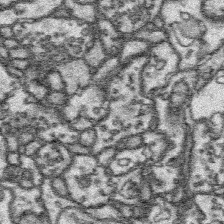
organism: Platynereis dumerilii